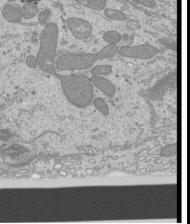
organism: Mouse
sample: Cilia; mouse epididymis